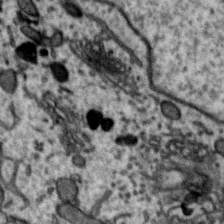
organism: Zebra finch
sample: Brain